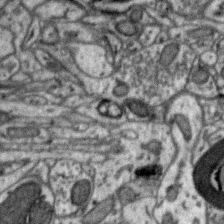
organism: Zebra finch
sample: Brain